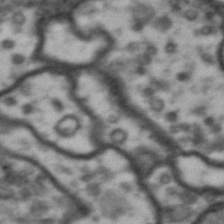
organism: Drosophila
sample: Brain